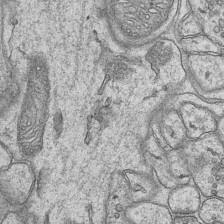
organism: Mouse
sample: CA1 Hippocampus